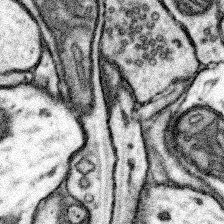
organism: Mouse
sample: Somatosensory cortex neuropil